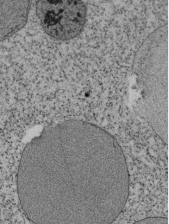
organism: Tetrahymena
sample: Cilia in tetrahymena